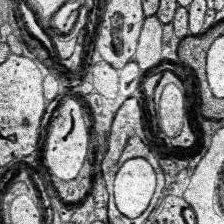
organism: Human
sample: Temporal Lobe